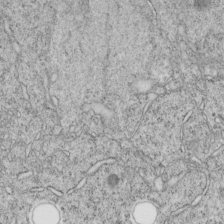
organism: C. elegans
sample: C. elegans embryo early stage